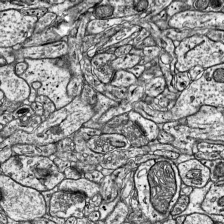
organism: Mouse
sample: Visual Cortex